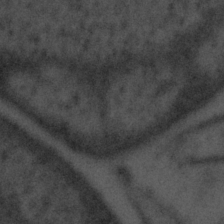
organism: Tuwongella immobilis